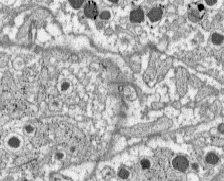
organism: C57BL Mouse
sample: Pancreatic islet